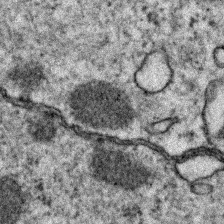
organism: Zebrafish